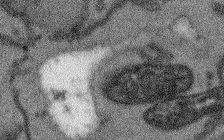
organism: Arabidopsis thaliana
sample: Root tip